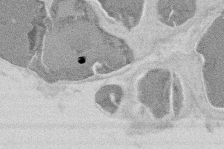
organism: Mouse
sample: T cell stromal cell synapse